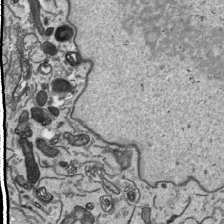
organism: Human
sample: Mitochondria in HCT116 cells